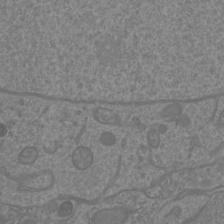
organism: Mouse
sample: Cortical neurons